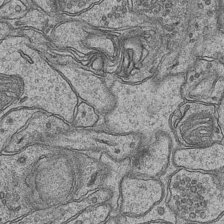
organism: Mouse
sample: CA1 Hippocampus